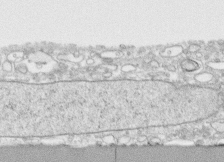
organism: Human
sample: CRL-1474